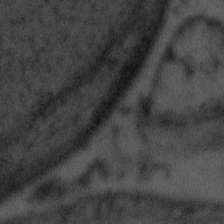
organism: Tuwongella immobilis